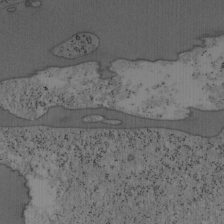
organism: Mouse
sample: OT-I killer T cells with ID8 ovarian cancer cells